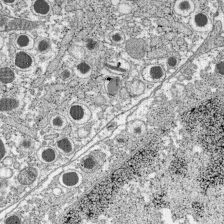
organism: C57BL Mouse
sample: Pancreatic islet